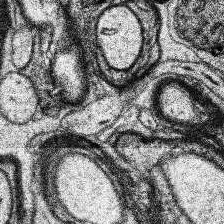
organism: Human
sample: Temporal Lobe